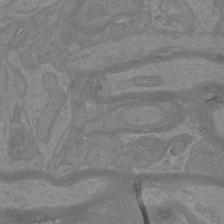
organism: Mouse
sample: Cortical neurons